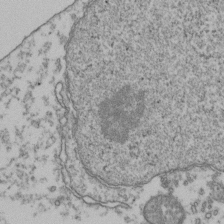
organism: Human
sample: Activated Jurkat CD4+ T cells